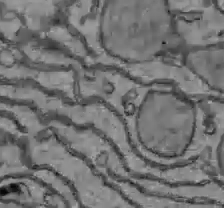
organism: C57BL Mouse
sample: Liver